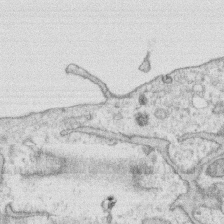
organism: Human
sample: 1205lu cells